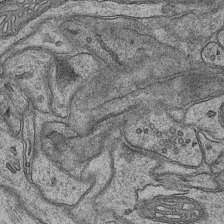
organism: Mouse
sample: CA1 Hippocampus